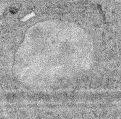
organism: Mouse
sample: Corneal nerves